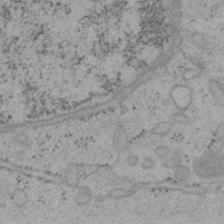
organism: Human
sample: HeLa cells